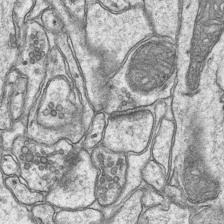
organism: Mouse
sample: CA1 Hippocampus